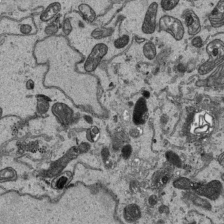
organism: Human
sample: Mitochondria in HCT116 cells